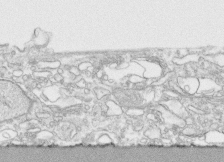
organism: Human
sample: CRL-1474